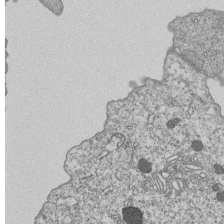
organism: Human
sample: MDA-MB-231 cells